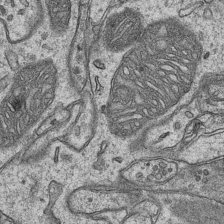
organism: Mouse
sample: CA1 Hippocampus